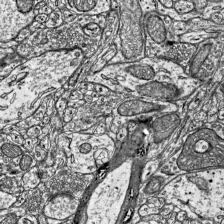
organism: Mouse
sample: Visual Cortex